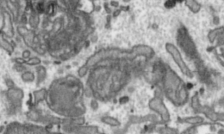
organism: Toxoplasma gondii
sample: Parasites in a vacuole inside a host cell